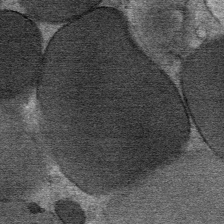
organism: Mouse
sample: Mouse Salivary gland